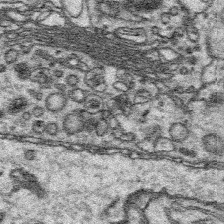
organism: Platynereis dumerilii